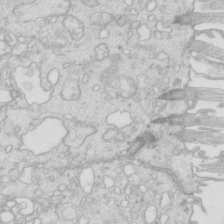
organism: Mouse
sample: Multiciliated cells